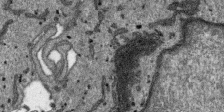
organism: Human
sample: Lung epithelial cells, uninfected (mock) control